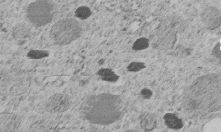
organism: C. elegans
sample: C. elegans embryo early stage